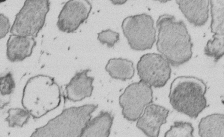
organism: E. coli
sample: Bacterial nucleoid